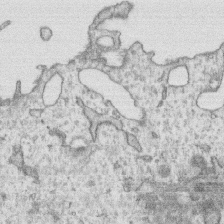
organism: Human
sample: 1205lu cells